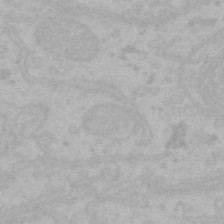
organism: Mouse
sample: Choroid plexus